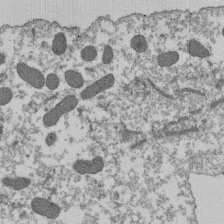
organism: Dictyostelium discoideum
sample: Dictyostelium multivesicular bodies